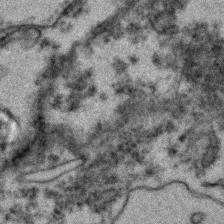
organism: Zebrafish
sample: Zebrafish embryo